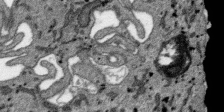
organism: Human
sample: Lung epithelial cells, uninfected (mock) control